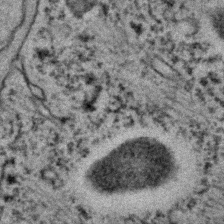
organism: C. elegans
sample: C. elegans embryo